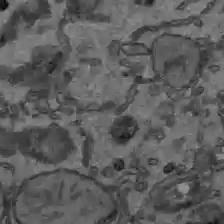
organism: C57BL Mouse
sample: Liver